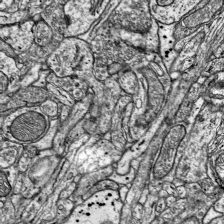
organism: Mouse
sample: Visual Cortex